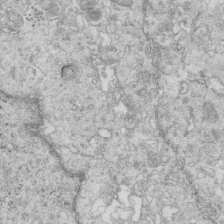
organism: Mouse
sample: Multiciliated cells